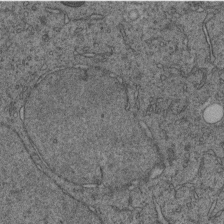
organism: C. elegans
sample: C. elegans embryo early stage